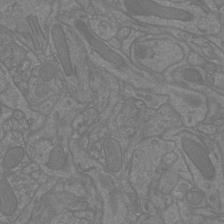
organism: Mouse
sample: Cortical neurons